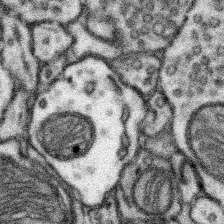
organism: Mouse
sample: Somatosensory cortex neuropil